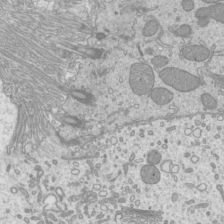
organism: Mouse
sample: Cilia; mouse epididymis